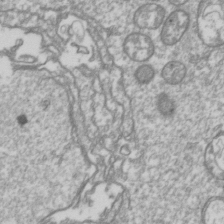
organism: Drosophila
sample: Cell division; meiosis; drosophila spermatocytes